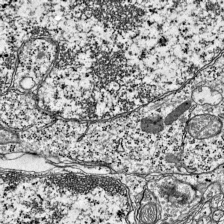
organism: Mouse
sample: Visual Cortex